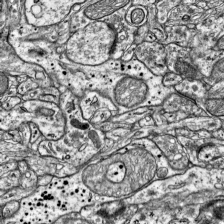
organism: Mouse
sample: Visual Cortex